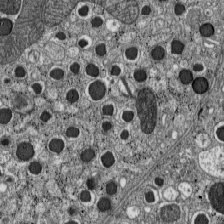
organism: C57BL Mouse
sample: Pancreatic islet